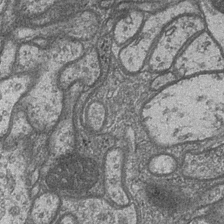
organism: Drosophila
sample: Optic medulla